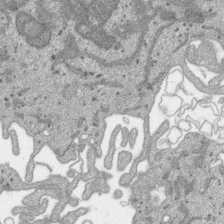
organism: Human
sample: Lung epithelial cells infected with SARS-CoV-2